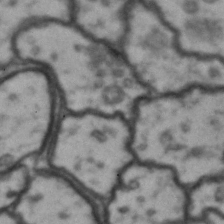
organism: Drosophila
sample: Brain